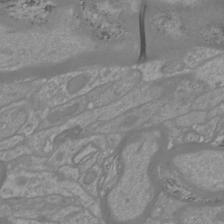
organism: Mouse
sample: Cortical neurons